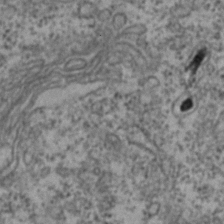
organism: Zebrafish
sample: Zebrafish embryo